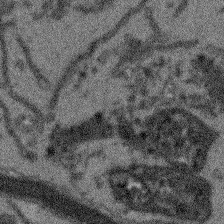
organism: Arabidopsis thaliana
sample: Root tip